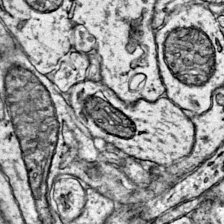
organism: Mouse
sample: Primary visual cortex